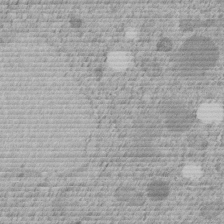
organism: C. elegans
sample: C. elegans embryo early stage